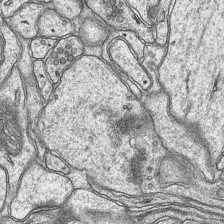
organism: Mouse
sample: CA1 Hippocampus